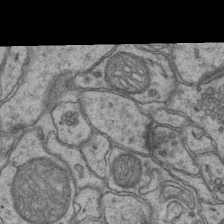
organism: Mouse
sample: CA1 Hippocampus